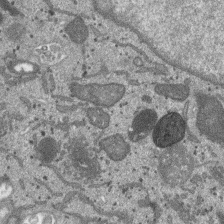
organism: Human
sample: Lung epithelial cells infected with SARS-CoV-2